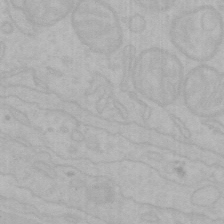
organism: Mouse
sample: Choroid plexus